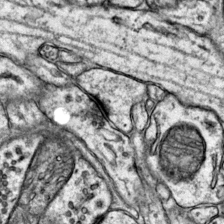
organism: Mouse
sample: Primary visual cortex